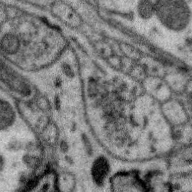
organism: Zebra finch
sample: Brain